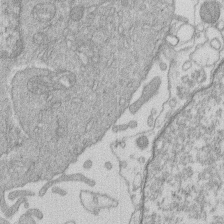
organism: Human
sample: Macrophage cells